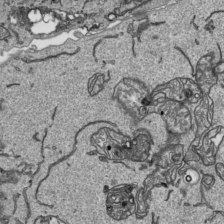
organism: Human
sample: Mitochondria in HCT116 cells